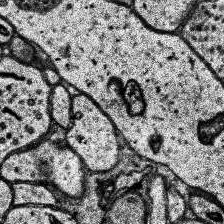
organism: Human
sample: Temporal Lobe